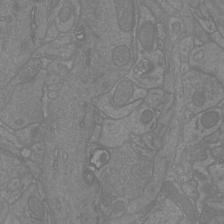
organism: Mouse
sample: Cortical neurons